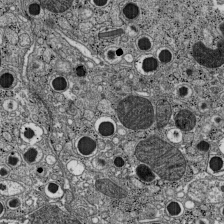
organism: C57BL Mouse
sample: Pancreatic islet